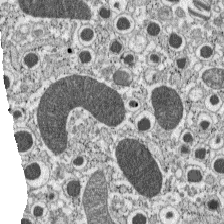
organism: C57BL Mouse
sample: Pancreatic islet